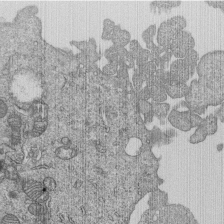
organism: Human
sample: MDA-MB-231 cells